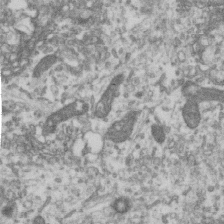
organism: Human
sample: Centriole in RPE cells